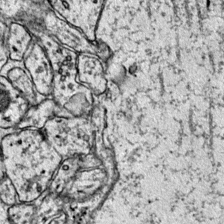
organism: Mouse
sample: Primary visual cortex